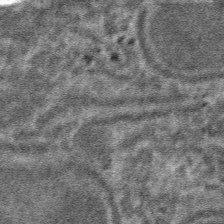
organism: Mouse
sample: Mouse hepatocytes